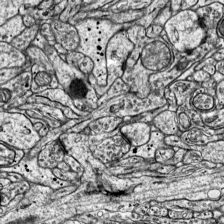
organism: Mouse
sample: Visual Cortex